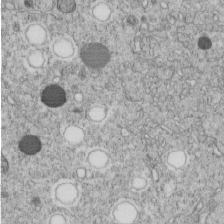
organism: C. elegans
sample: C. elegans embryo early stage